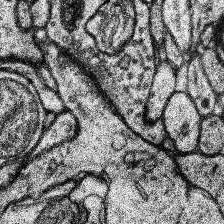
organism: Human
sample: Temporal Lobe